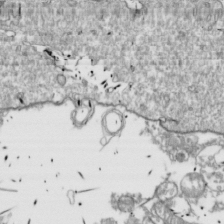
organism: Drosophila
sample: Cell division; meiosis; drosophila spermatocytes